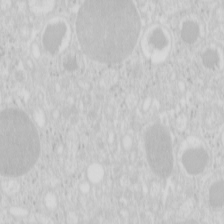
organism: Mouse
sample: Pancreas